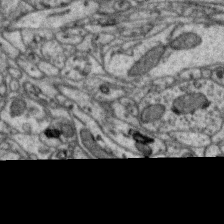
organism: Zebra finch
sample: Brain